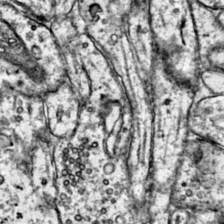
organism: Mouse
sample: Primary visual cortex